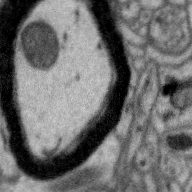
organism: Zebra finch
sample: Brain